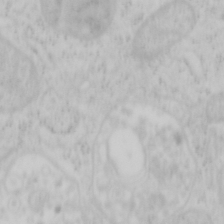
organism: Mouse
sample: OT-I killer T cells with ID8 ovarian cancer cells